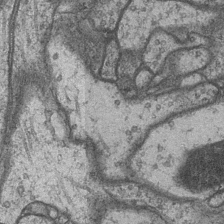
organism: Drosophila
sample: Optic medulla